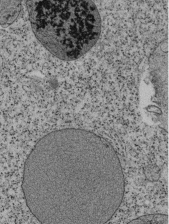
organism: Tetrahymena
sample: Cilia in tetrahymena